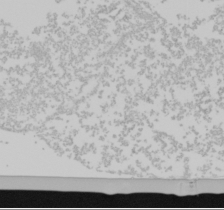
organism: Mouse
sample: Cancer cell death in ED-1 cells